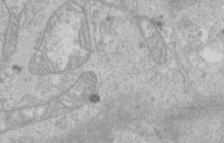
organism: Human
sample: Centriole in RPE cells